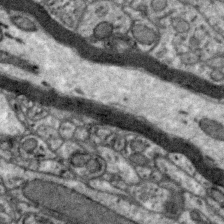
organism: Zebra finch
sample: Brain